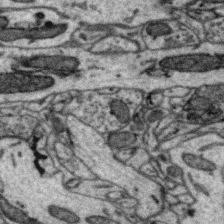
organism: Zebra finch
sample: Brain